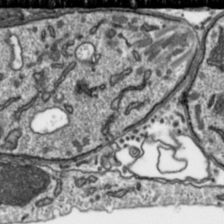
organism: Toxoplasma gondii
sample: Parasites in a vacuole inside a host cell